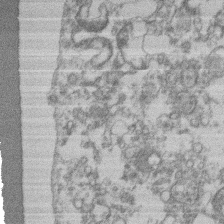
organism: Mouse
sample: T cell stromal cell synapse